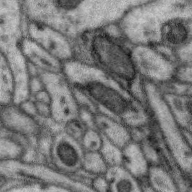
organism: Zebra finch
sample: Brain